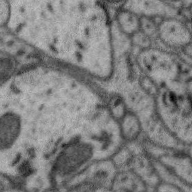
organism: Zebra finch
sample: Brain